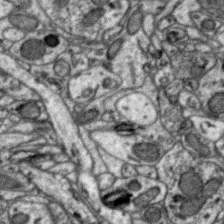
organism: Zebra finch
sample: Brain